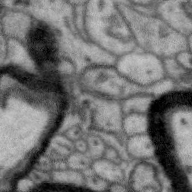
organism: Zebra finch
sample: Brain